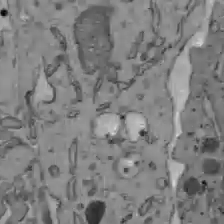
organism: C57BL Mouse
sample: Liver